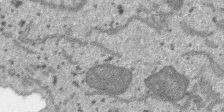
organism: Human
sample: Lung epithelial cells infected with SARS-CoV-2